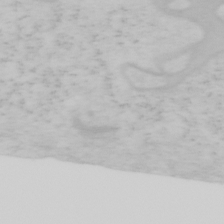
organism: Mouse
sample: OT-I killer T cells with ID8 ovarian cancer cells